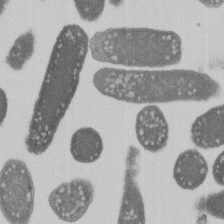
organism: E. coli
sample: Bacterial nucleoid